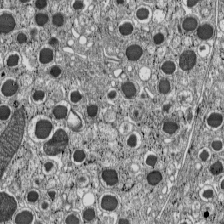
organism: C57BL Mouse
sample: Pancreatic islet